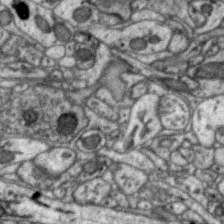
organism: Zebra finch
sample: Brain